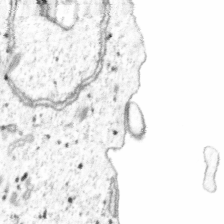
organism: Human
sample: HeLa cells